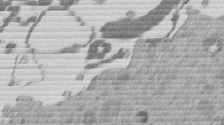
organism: Mouse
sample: Dividing mouse embryo 1 cell stage